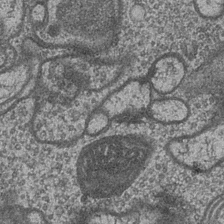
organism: Drosophila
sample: Optic medulla